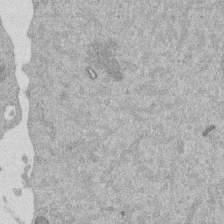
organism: Mouse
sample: Dividing mouse embryo 1 cell stage